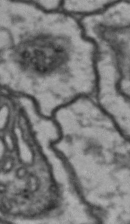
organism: Drosophila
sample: Brain